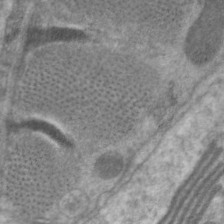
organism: C. elegans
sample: Pharynx